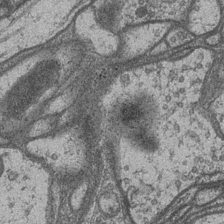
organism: Drosophila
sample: Optic medulla